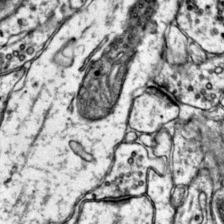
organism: Mouse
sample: Primary visual cortex